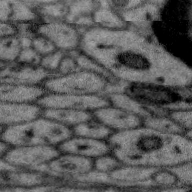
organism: Zebra finch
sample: Brain